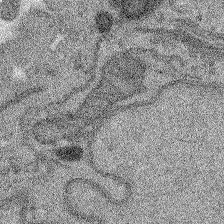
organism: Human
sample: HeLa cells